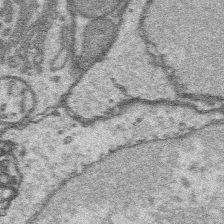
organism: Platynereis dumerilii